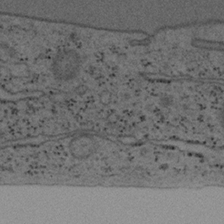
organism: Human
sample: HeLa cells